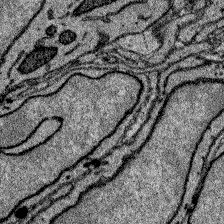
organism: Zebrafish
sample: Larval olfactory bulb